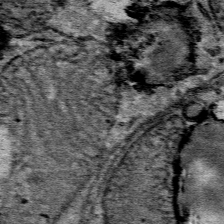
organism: Mouse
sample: Mouse Salivary gland